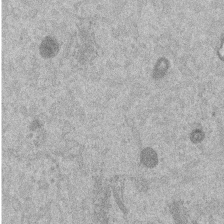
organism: Mouse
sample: Dividing mouse embryo 1 cell stage